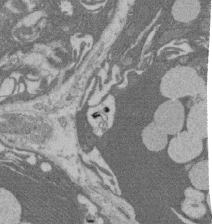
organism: Rat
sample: Salivary granule